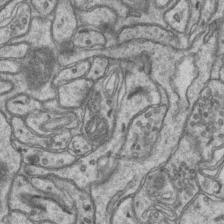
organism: Mouse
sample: CA1 Hippocampus